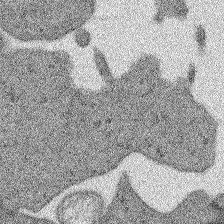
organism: Human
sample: HeLa cells